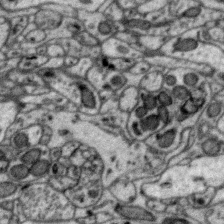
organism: Zebra finch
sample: Brain